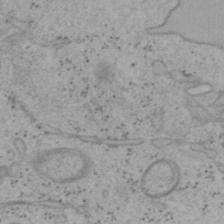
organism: Human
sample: HeLa cells